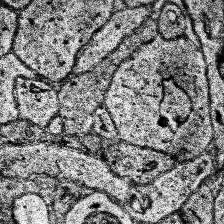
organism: Human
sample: Temporal Lobe